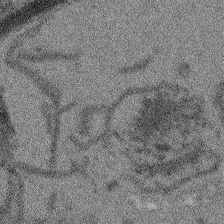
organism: Arabidopsis thaliana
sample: Root tip